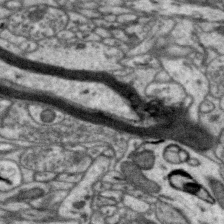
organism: Zebra finch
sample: Brain